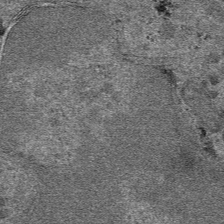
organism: Mouse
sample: Mouse hepatocytes